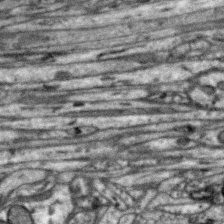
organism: Zebra finch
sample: Brain